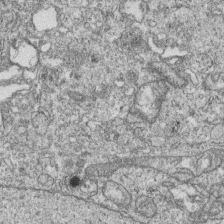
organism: Human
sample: HeLa cell HIV synapse